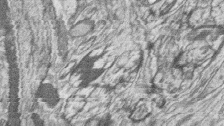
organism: Zebrafish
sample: synaptic ribbons in rod cells and cone cells